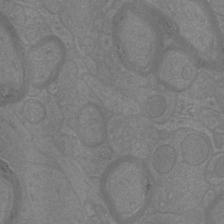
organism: Mouse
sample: Cortical neurons